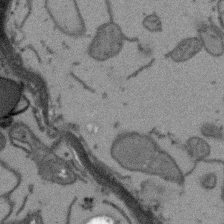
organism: Arabidopsis thaliana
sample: Root tip